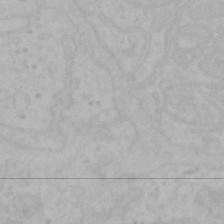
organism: Mouse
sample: Choroid plexus